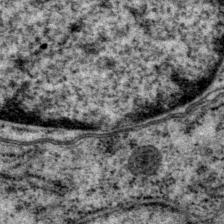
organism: P. pacificus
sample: Pharynx